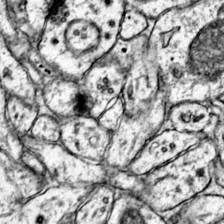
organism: Mouse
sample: Primary visual cortex